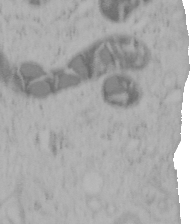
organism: Mouse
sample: OT-I killer T cells with ID8 ovarian cancer cells